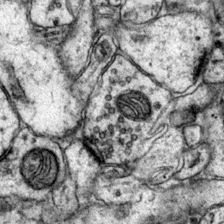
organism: Mouse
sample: Primary visual cortex